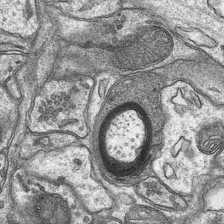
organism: Mouse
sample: CA1 Hippocampus